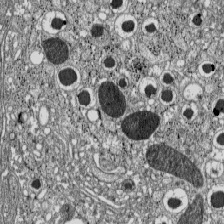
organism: C57BL Mouse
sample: Pancreatic islet